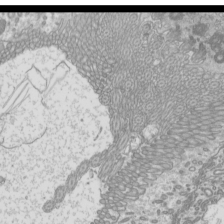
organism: Mouse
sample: Cilia; mouse epididymis